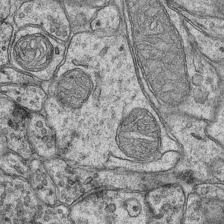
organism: Mouse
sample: CA1 Hippocampus